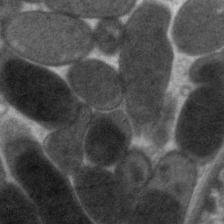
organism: C. elegans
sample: Pharynx